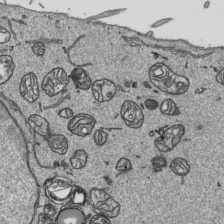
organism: Human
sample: Mitochondria in HCT116 cells